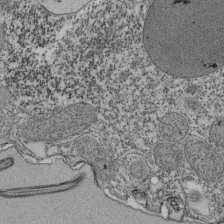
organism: Tetrahymena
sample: Cilia in tetrahymena